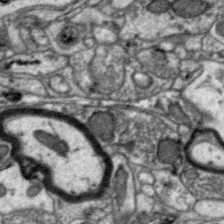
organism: Zebra finch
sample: Brain